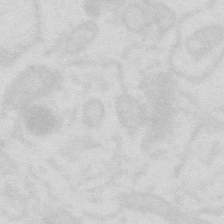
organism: Human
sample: HeLa cells